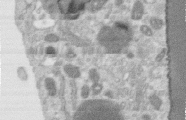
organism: Human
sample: Centriole in RPE cells